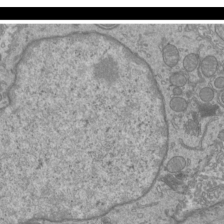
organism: Mouse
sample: Cilia; mouse epididymis